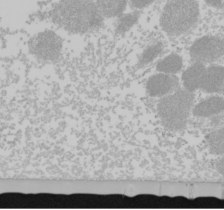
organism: Mouse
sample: Cancer cell death in ED-1 cells